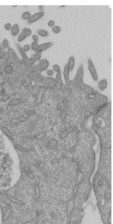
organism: Mouse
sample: ED-1 cell nuclei; centrioles